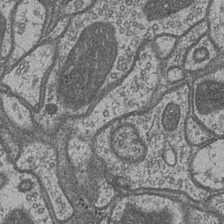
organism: Drosophila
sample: Optic medulla